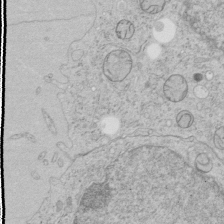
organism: Human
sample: Mitochondria in HCT116 cells